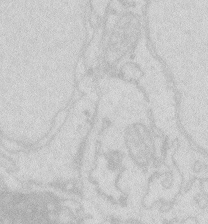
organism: Zebrafish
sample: Macrophage